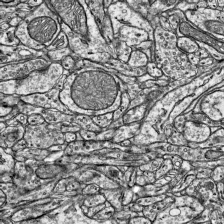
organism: Mouse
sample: Visual Cortex